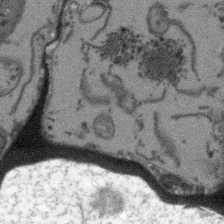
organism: Arabidopsis thaliana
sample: Root tip